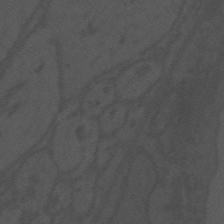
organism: Mouse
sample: Suprachiasmatic nucleus